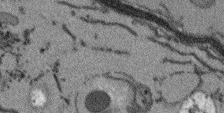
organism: Arabidopsis thaliana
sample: Root tip